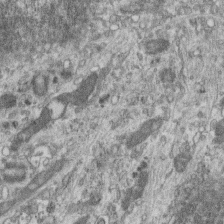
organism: Mouse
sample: Centriole in ependymal cells